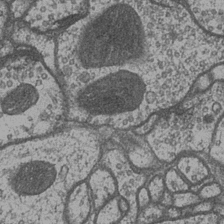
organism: Drosophila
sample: Optic medulla